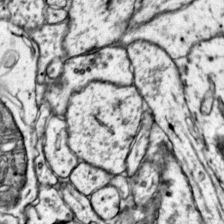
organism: Mouse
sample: Primary visual cortex